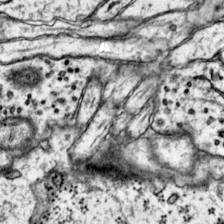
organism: Mouse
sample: Primary visual cortex